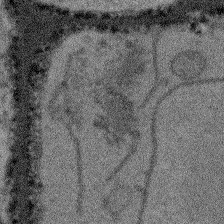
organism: Arabidopsis thaliana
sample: Root tip